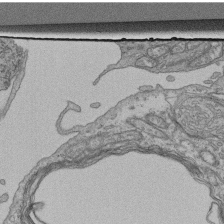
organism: Human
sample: Retinal organoid Rod and Cone cells